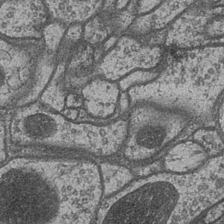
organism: Drosophila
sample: Optic medulla